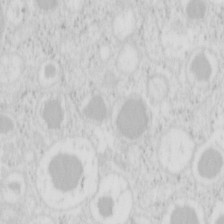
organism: Mouse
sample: Pancreas